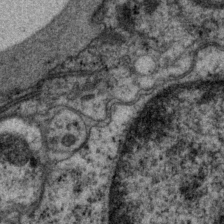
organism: P. pacificus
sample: Pharynx